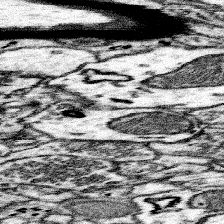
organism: Mouse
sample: Somatosensory cortex neuropil